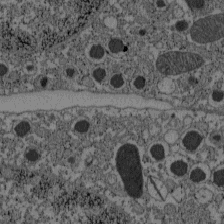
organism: C57BL Mouse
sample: Pancreatic islet